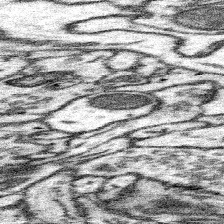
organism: Mouse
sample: Somatosensory cortex neuropil